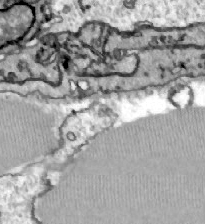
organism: Zebrafish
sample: Actinotrichia fibers